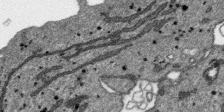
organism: Human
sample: Lung epithelial cells, uninfected (mock) control